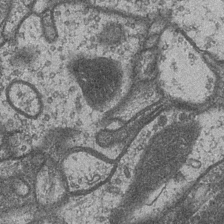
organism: Drosophila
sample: Optic medulla